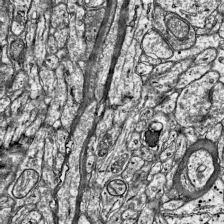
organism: Mouse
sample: Visual Cortex